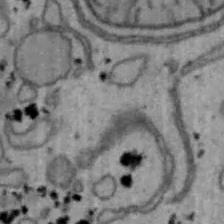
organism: Mouse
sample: Liver